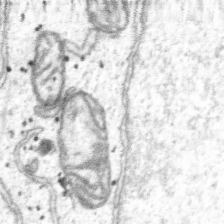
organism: Human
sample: HeLa cells